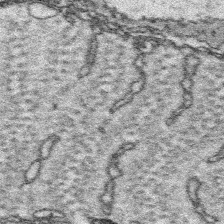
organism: Platynereis dumerilii